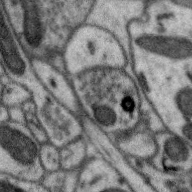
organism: Zebra finch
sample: Brain